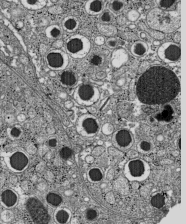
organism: C57BL Mouse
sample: Pancreatic islet